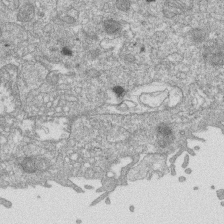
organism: Human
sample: HeLa cell HIV synapse